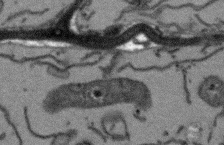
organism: Arabidopsis thaliana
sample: Root tip